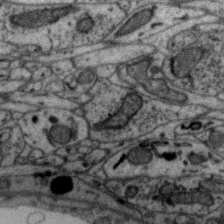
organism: Zebra finch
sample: Brain